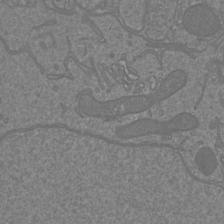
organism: Mouse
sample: Cortical neurons